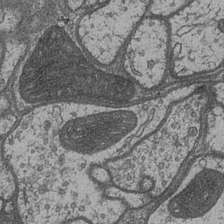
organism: Drosophila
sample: Optic medulla